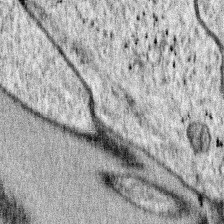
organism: Human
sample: HeLa cells